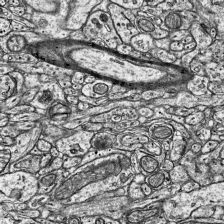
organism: Mouse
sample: Visual Cortex